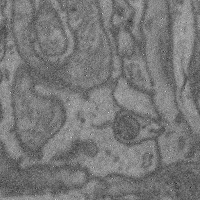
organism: Mouse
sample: Cerebral cortex